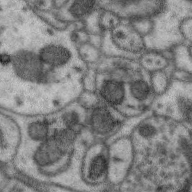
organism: Zebra finch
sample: Brain